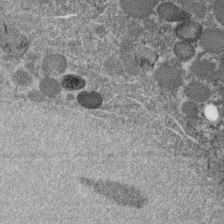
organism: C. elegans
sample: C. elegans embryo early stage